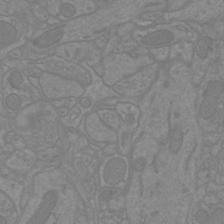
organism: Mouse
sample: Cortical neurons